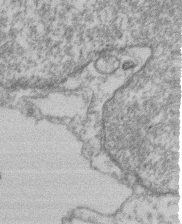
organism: Mouse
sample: T cell stromal cell synapse